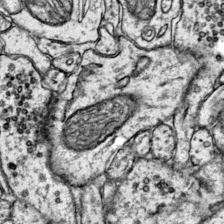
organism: Mouse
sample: Primary visual cortex